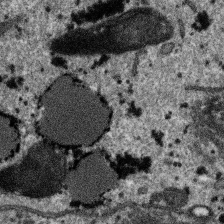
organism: Human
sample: Lung epithelial cells infected with SARS-CoV-2